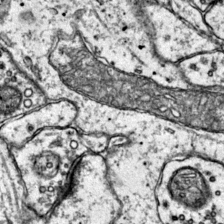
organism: Mouse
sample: Primary visual cortex